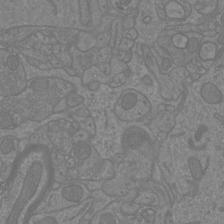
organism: Mouse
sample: Cortical neurons